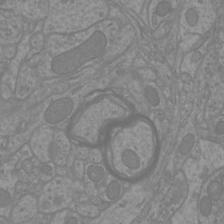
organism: Mouse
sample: Cortical neurons